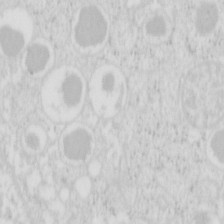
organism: Mouse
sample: Pancreas